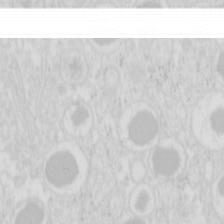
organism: Mouse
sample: Pancreas